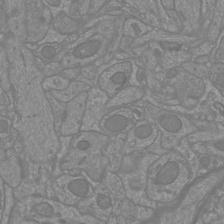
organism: Mouse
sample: Cortical neurons